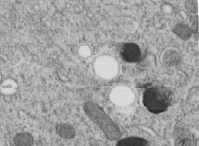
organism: C. elegans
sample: C. elegans embryo early stage